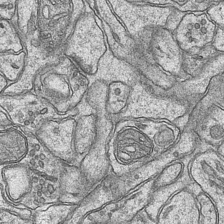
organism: Mouse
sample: CA1 Hippocampus